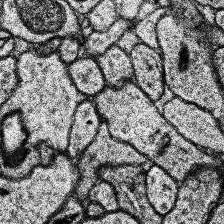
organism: Human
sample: Temporal Lobe